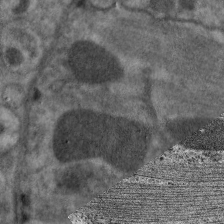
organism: C. elegans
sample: Pharynx